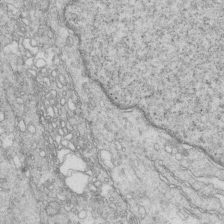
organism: Mouse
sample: Multiciliated cells